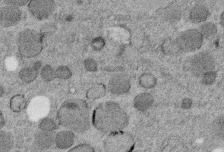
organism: C. elegans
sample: C. elegans embryo early stage